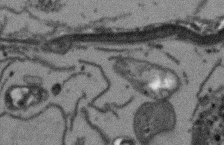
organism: Arabidopsis thaliana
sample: Root tip